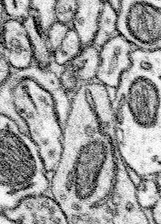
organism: Mouse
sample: Somatosensory cortex neuropil